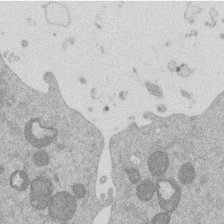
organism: Mouse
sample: Dividing mouse embryo 1 cell stage